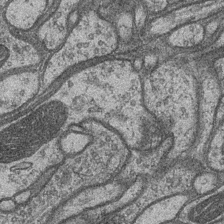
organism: Drosophila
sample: Optic medulla